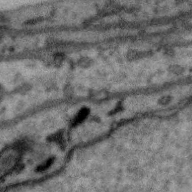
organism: Zebra finch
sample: Brain